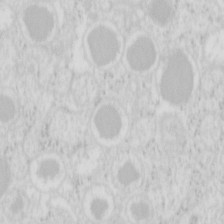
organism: Mouse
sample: Pancreas